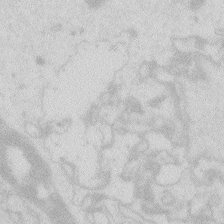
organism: Zebrafish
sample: Macrophage